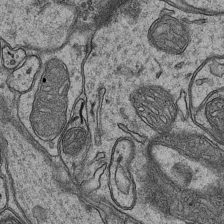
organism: Mouse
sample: CA1 Hippocampus